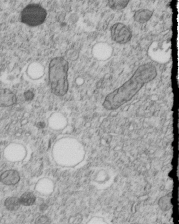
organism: C. elegans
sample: C. elegans embryo early stage